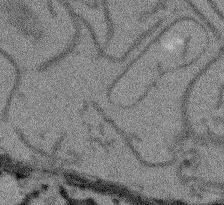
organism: Arabidopsis thaliana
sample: Root tip